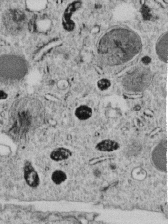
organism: C. elegans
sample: C. elegans embryo early stage